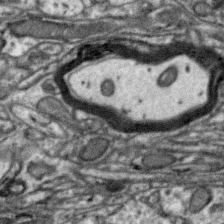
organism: Zebra finch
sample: Brain